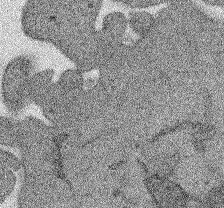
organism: Human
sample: HeLa cells